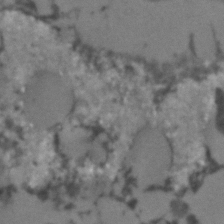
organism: C. elegans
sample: C. elegans embryo